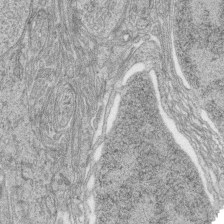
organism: Zebrafish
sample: synaptic ribbons in rod cells and cone cells